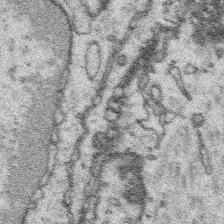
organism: Platynereis dumerilii